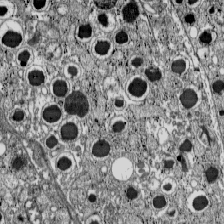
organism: C57BL Mouse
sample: Pancreatic islet